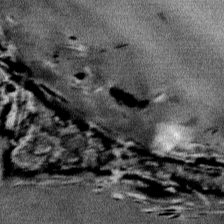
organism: Mouse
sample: Mouse Salivary gland